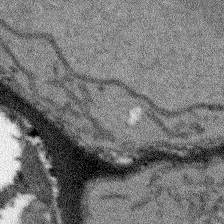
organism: Arabidopsis thaliana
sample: Root tip